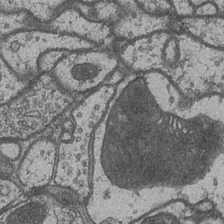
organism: Drosophila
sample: Optic medulla